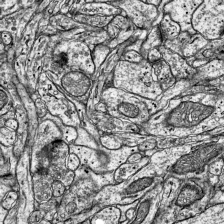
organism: Mouse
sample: Visual Cortex